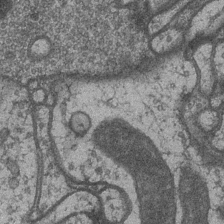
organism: Drosophila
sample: Optic medulla